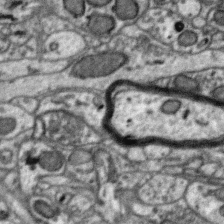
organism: Zebra finch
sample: Brain